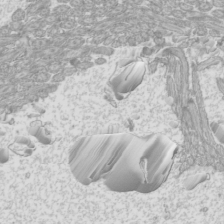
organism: Mouse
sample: Cilia; mouse epididymis